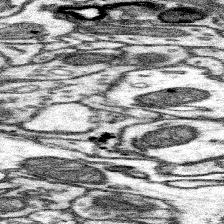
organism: Mouse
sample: Somatosensory cortex neuropil